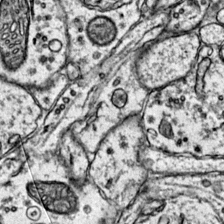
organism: Mouse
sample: Primary visual cortex